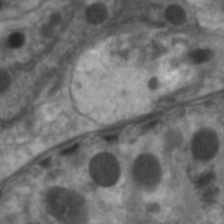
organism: C. elegans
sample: Pharynx